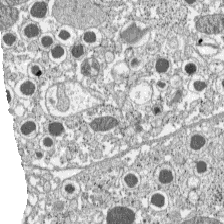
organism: C57BL Mouse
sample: Pancreatic islet